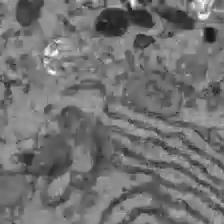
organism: C57BL Mouse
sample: Liver